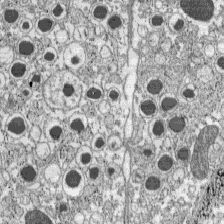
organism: C57BL Mouse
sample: Pancreatic islet